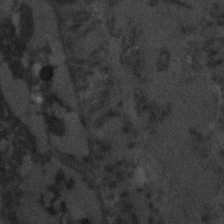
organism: C. elegans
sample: C. elegans embryo